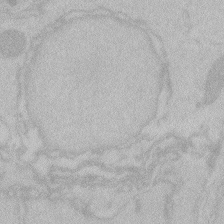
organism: Zebrafish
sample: Macrophage infected with Toxoplasma gondii